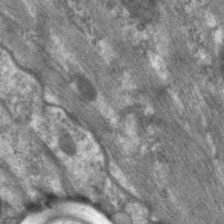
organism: C. elegans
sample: Pharynx